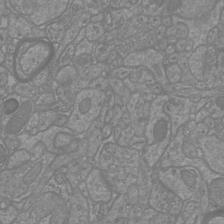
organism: Mouse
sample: Cortical neurons